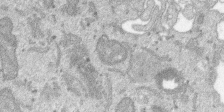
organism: Human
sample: Lung epithelial cells infected with SARS-CoV-2